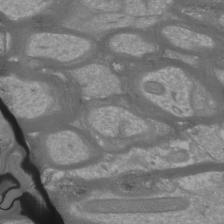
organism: Mouse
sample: Cortical neurons